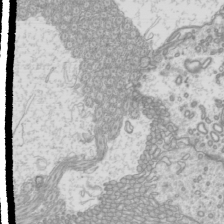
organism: Mouse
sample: Cilia; mouse epididymis